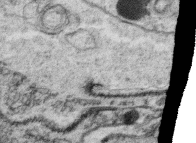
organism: C. elegans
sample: C. elegans oocyte; sperm cells